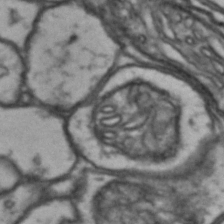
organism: Drosophila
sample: Brain